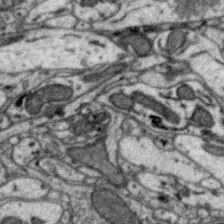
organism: Zebra finch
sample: Brain